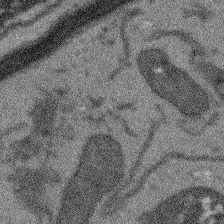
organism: Arabidopsis thaliana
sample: Root tip